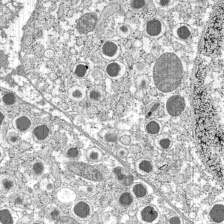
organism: C57BL Mouse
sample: Pancreatic islet